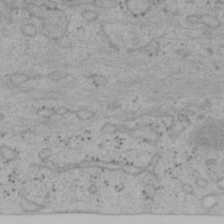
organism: Human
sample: HeLa cells